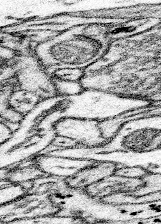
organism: Mouse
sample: Somatosensory cortex neuropil